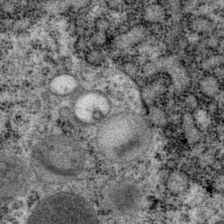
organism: P. pacificus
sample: Pharynx